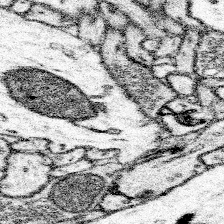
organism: Mouse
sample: Somatosensory cortex neuropil